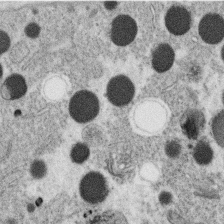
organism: C. elegans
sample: C. elegans oocyte; sperm cells